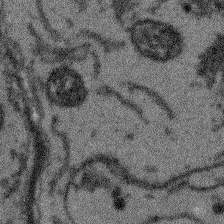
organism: Arabidopsis thaliana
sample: Root tip